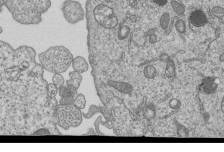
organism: Human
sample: MDA-MB-231 cells